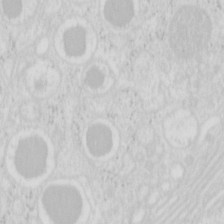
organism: Mouse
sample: Pancreas